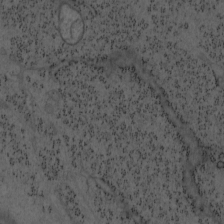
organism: Mouse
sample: OT-I killer T cells with ID8 ovarian cancer cells